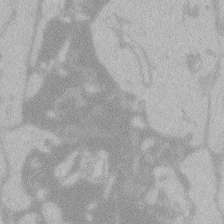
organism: Zebrafish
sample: Macrophage infected with Toxoplasma gondii